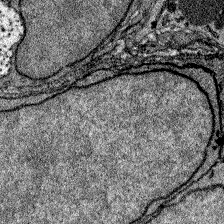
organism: Zebrafish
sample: Larval olfactory bulb